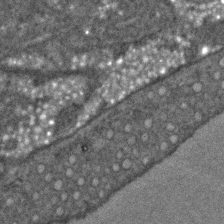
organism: C. elegans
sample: C. elegans embryo